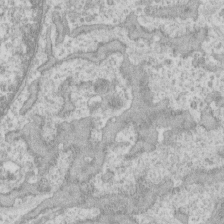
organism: Human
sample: CRL-1474